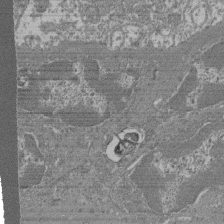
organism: Mouse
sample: Glomerulus